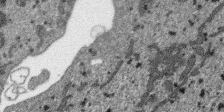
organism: Human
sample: Lung epithelial cells infected with SARS-CoV-2